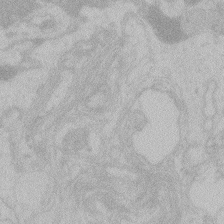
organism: Zebrafish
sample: Macrophage infected with Toxoplasma gondii